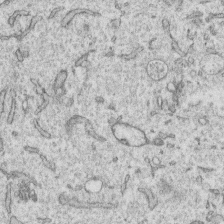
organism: Human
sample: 1205lu cells